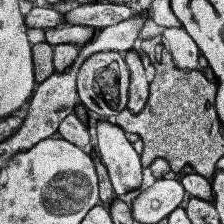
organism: Human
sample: Temporal Lobe